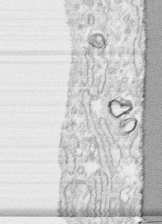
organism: Human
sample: CRL-1474